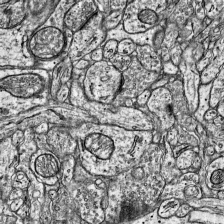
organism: Mouse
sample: Visual Cortex